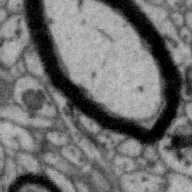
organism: Zebra finch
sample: Brain